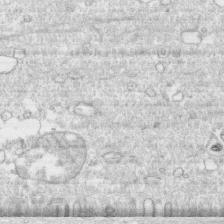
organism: Human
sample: CRL-1474